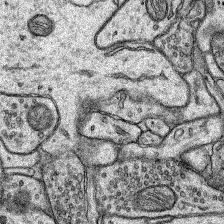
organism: Rat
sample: Hippocampus